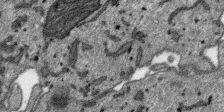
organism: Human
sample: Lung epithelial cells, uninfected (mock) control